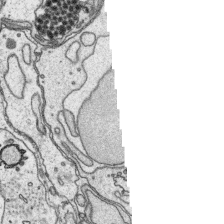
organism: Platynereis dumerilii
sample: Parapodia